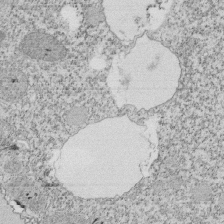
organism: Tetrahymena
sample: Cilia in tetrahymena